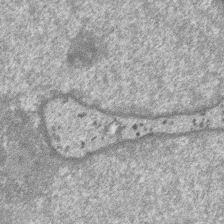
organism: Human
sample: Lung epithelial cells infected with SARS-CoV-2